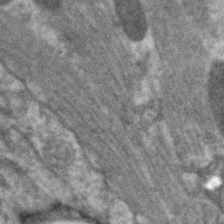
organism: C. elegans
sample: Pharynx